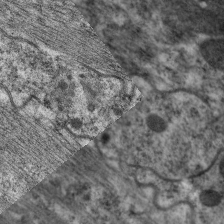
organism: C. elegans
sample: Pharynx